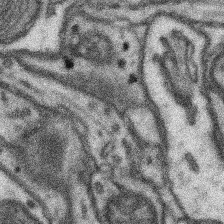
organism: Mouse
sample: Somatosensory cortex neuropil